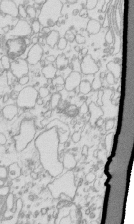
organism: Mouse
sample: Macrophages